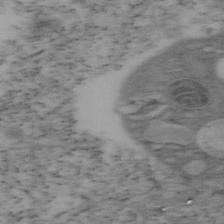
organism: Mouse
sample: OT-I killer T cells with ID8 ovarian cancer cells